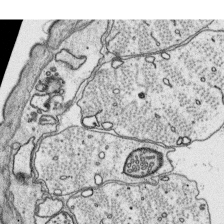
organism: Platynereis dumerilii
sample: Parapodia